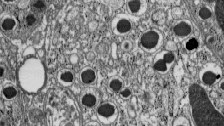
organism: C57BL Mouse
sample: Pancreatic islet